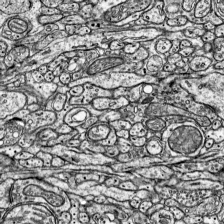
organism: Mouse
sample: Visual Cortex